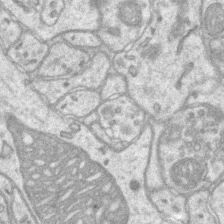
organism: Mouse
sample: CA1 Hippocampus